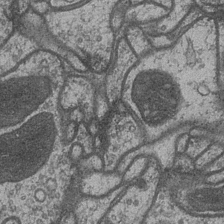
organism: Drosophila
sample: Optic medulla